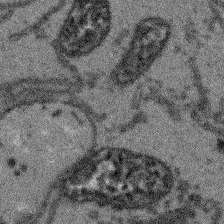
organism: Arabidopsis thaliana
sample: Root tip